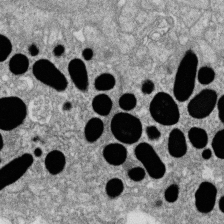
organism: Zebrafish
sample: Cilia; retinal pigment epithelium